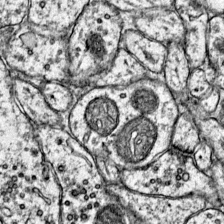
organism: Mouse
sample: Primary visual cortex